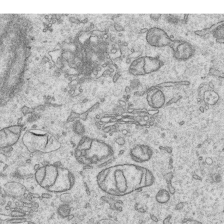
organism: Human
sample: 1205lu cells